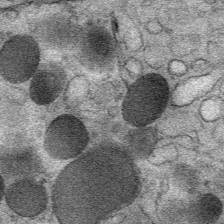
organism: Mouse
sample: Mouse Salivary gland